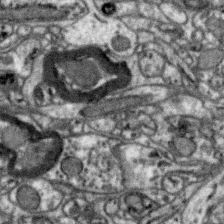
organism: Zebra finch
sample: Brain